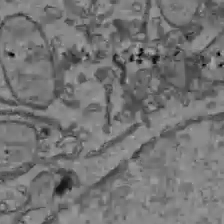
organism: C57BL Mouse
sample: Liver